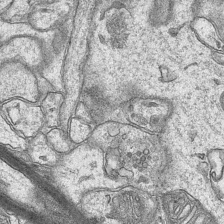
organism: Mouse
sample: CA1 Hippocampus